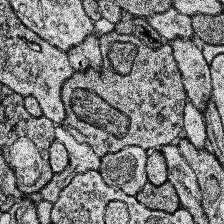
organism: Human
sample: Temporal Lobe